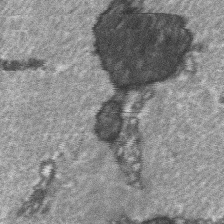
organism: C57BL Mouse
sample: Soleus